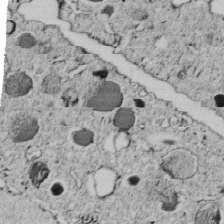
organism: C. elegans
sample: C. elegans embryo early stage